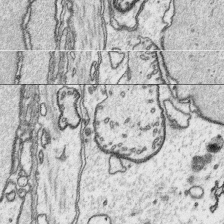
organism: Platynereis dumerilii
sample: Parapodia